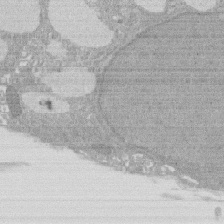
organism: Rat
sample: Salivary granule